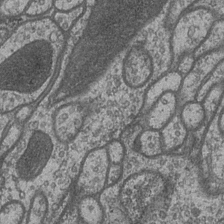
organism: Drosophila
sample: Optic medulla